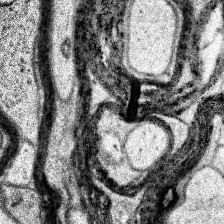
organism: Human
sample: Temporal Lobe